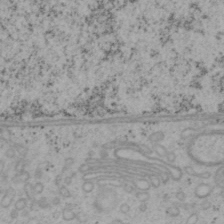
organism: Human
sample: HeLa cells